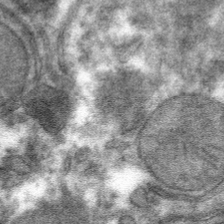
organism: Mouse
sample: Mouse hepatocytes